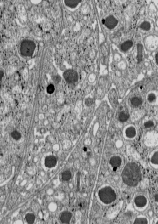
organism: C57BL Mouse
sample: Pancreatic islet